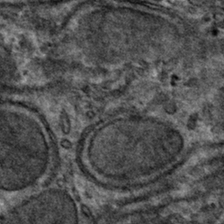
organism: Mouse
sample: Mouse hepatocytes